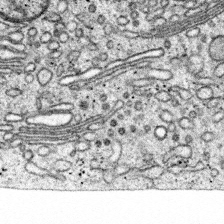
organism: Human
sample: HeLa cells